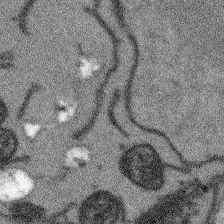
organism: Arabidopsis thaliana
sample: Root tip